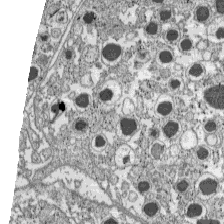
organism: C57BL Mouse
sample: Pancreatic islet